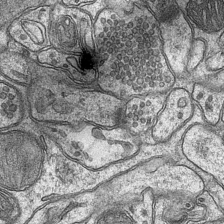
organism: Mouse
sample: CA1 Hippocampus